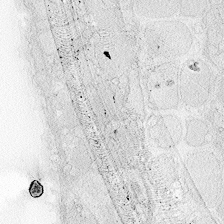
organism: Zebrafish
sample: Whole-Brain